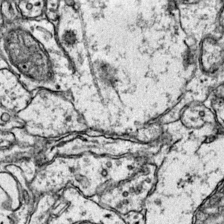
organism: Mouse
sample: Primary visual cortex